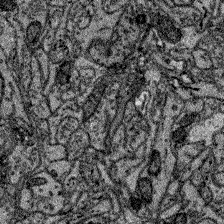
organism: Zebrafish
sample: Larval olfactory bulb